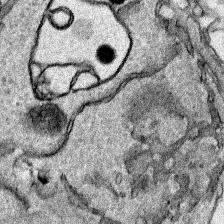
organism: Human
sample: Mitochondria in HCT116 cells